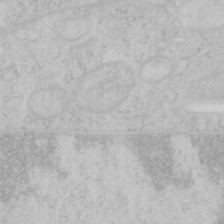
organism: Mouse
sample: OT-I killer T cells with ID8 ovarian cancer cells